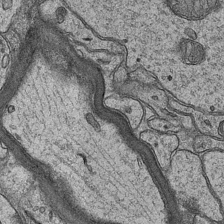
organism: Mouse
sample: CA1 Hippocampus